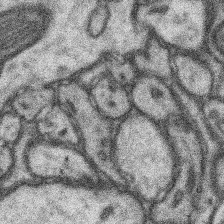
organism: Mouse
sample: Somatosensory cortex neuropil